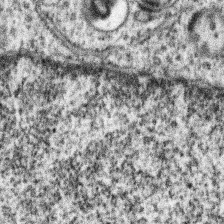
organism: Human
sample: HeLa cells